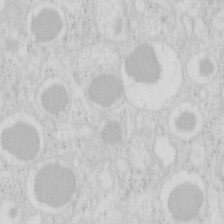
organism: Mouse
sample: Pancreas